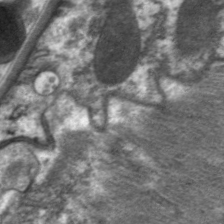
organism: C. elegans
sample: Pharynx